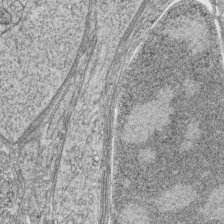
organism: Zebrafish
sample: synaptic ribbons in rod cells and cone cells